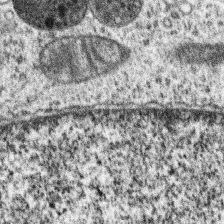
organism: Human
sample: HeLa cells